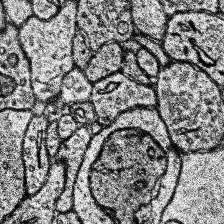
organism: Human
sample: Temporal Lobe